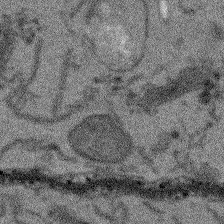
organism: Arabidopsis thaliana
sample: Root tip